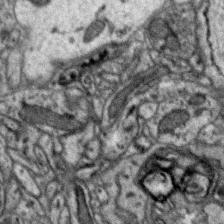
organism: Zebra finch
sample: Brain